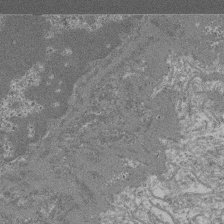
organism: Mouse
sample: Glomerulus